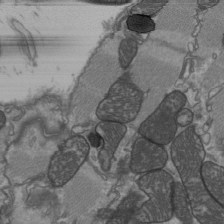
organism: C57BL Mouse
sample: Heart